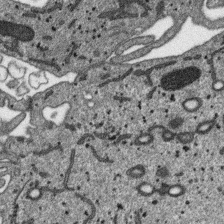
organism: Human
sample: Lung epithelial cells infected with SARS-CoV-2